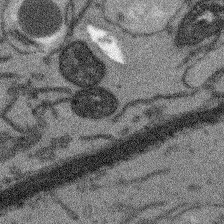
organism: Arabidopsis thaliana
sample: Root tip